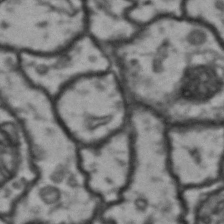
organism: Drosophila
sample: Brain